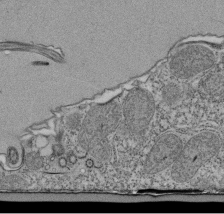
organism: Tetrahymena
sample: Cilia in tetrahymena